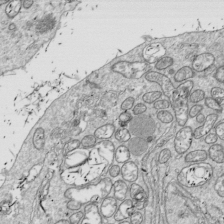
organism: Drosophila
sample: Cell division; meiosis; drosophila spermatocytes